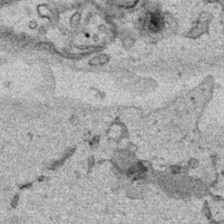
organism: Human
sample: Mitochondria in HCT116 cells